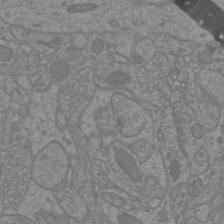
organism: Mouse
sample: Cortical neurons